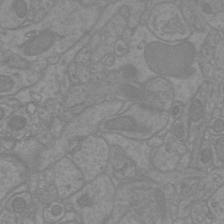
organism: Mouse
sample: Cortical neurons